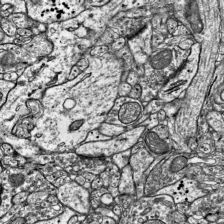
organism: Mouse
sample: Visual Cortex